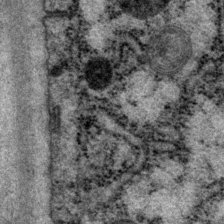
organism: P. pacificus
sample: Pharynx